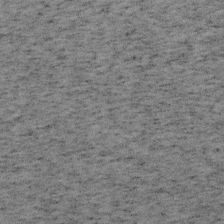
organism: Mouse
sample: OT-I killer T cells with ID8 ovarian cancer cells